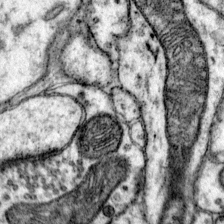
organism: Mouse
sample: Primary visual cortex